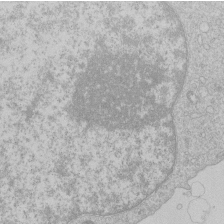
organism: Human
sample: Macrophage cells